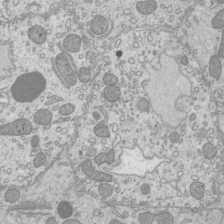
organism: Mouse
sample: Cilia; mouse epididymis